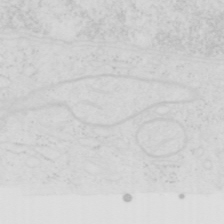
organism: Human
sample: SUM-159 cell